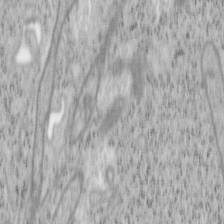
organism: Human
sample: HeLa cells